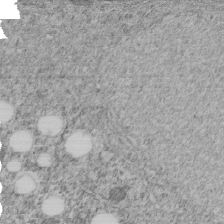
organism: C. elegans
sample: C. elegans embryo early stage